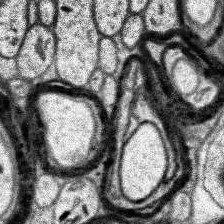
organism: Human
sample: Temporal Lobe